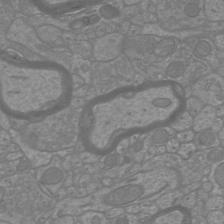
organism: Mouse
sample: Cortical neurons